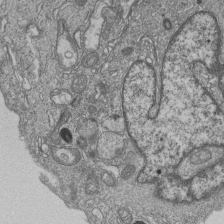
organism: Human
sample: MDA-MB-231 cells